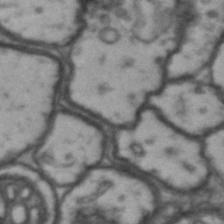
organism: Drosophila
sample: Brain